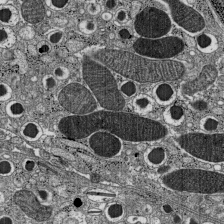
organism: C57BL Mouse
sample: Pancreatic islet